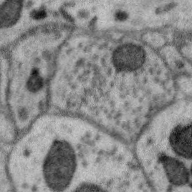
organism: Zebra finch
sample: Brain